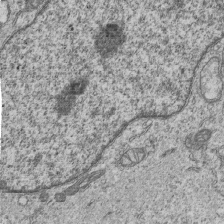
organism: Human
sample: MDA-MB-231 cells